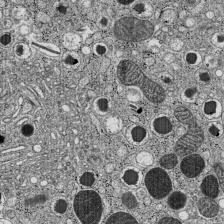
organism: C57BL Mouse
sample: Pancreatic islet